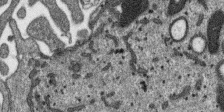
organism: Human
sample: Lung epithelial cells infected with SARS-CoV-2